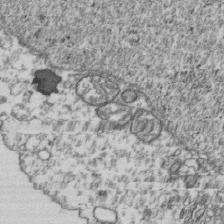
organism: Human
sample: Activated Jurkat CD4+ T cells